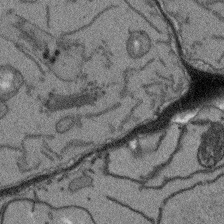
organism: Arabidopsis thaliana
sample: Root tip